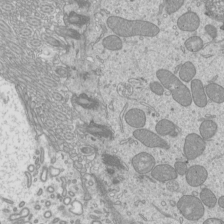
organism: Mouse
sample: Cilia; mouse epididymis